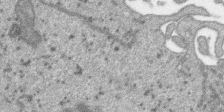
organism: Human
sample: Lung epithelial cells infected with SARS-CoV-2